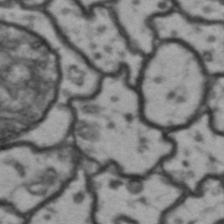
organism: Drosophila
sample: Brain